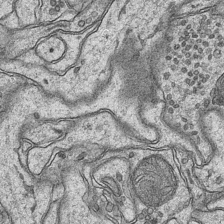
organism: Mouse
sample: CA1 Hippocampus